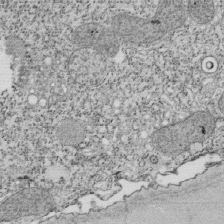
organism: Tetrahymena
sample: Cilia in tetrahymena